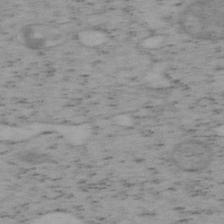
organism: Mouse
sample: OT-I killer T cells with ID8 ovarian cancer cells